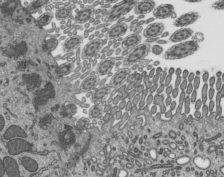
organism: Mouse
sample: Mouse epididymis efferent ductule cilia